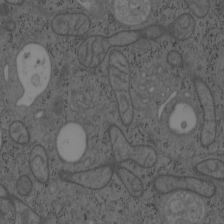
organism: Mouse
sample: OT-I killer T cells with ID8 ovarian cancer cells